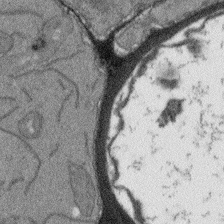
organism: Arabidopsis thaliana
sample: Root tip